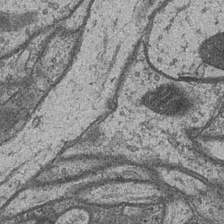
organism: Drosophila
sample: Optic medulla